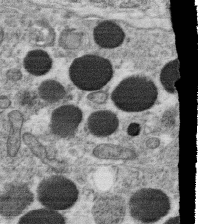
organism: C. elegans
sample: C. elegans oocyte; sperm cells